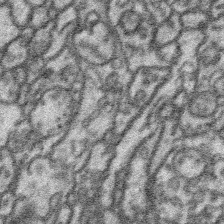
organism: Platynereis dumerilii